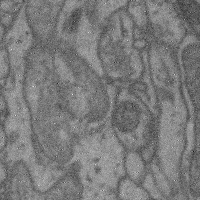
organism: Mouse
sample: Cerebral cortex